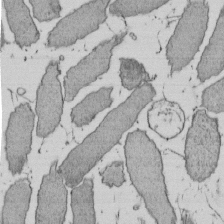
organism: E. coli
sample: Bacterial nucleoid